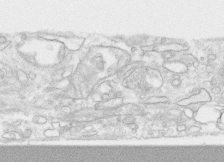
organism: Human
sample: CRL-1474